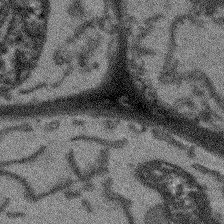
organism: Arabidopsis thaliana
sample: Root tip